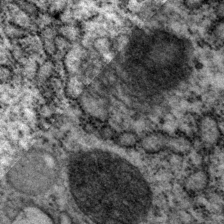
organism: P. pacificus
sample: Pharynx